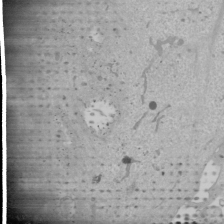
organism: Human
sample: Mitochondria in U2OS cells